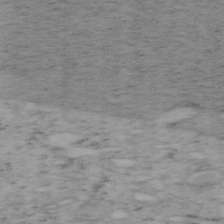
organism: Mouse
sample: OT-I killer T cells with ID8 ovarian cancer cells